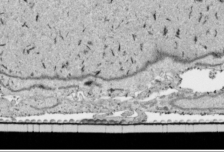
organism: Human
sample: Mitochondria in HCT116 cells